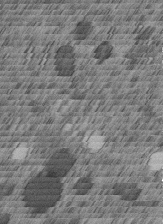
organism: C. elegans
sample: C. elegans embryo early stage